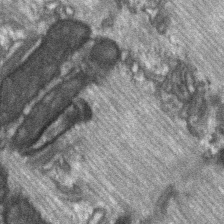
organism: C57BL Mouse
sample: Soleus